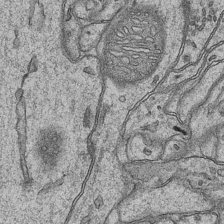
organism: Mouse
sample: CA1 Hippocampus